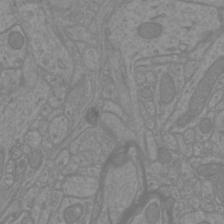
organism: Mouse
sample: Cortical neurons